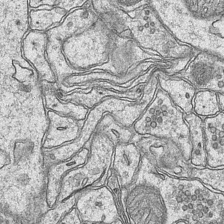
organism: Mouse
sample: CA1 Hippocampus